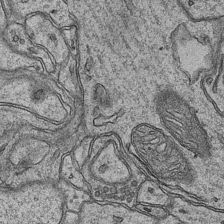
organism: Mouse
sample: CA1 Hippocampus